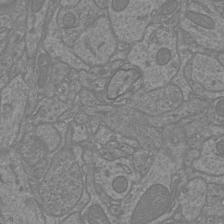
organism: Mouse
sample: Cortical neurons